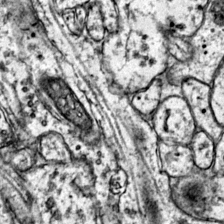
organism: Mouse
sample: Primary visual cortex